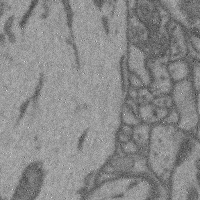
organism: Mouse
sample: Cerebral cortex